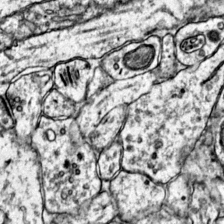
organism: Mouse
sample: Primary visual cortex